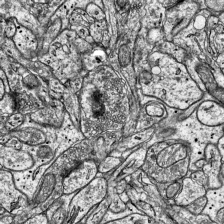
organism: Mouse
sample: Visual Cortex